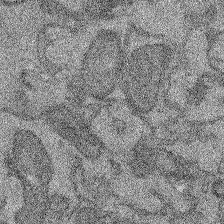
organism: Human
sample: HeLa cells